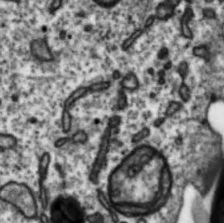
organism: Human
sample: HeLa cells